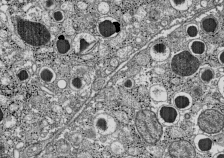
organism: C57BL Mouse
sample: Pancreatic islet